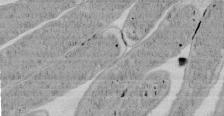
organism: E. coli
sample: Bacterial nucleoid